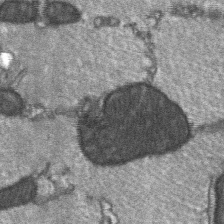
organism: C57BL Mouse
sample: Soleus